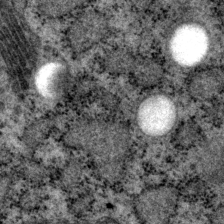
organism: P. pacificus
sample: Pharynx